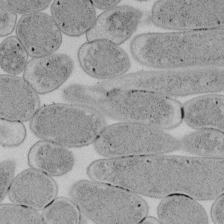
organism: E. coli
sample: Bacterial nucleoid